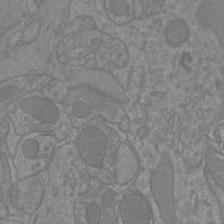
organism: Mouse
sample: Cortical neurons